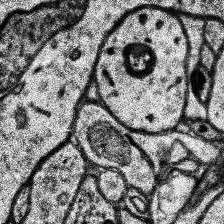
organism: Human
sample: Temporal Lobe